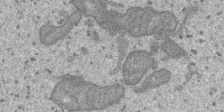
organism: Human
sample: Lung epithelial cells infected with SARS-CoV-2